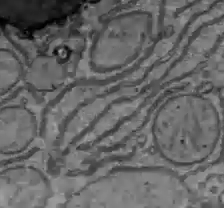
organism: C57BL Mouse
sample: Liver